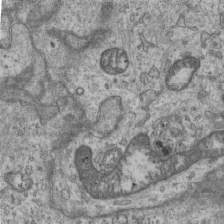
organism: Mouse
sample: Centriole in ependymal cells